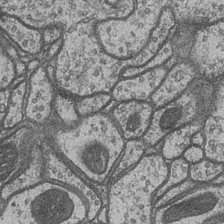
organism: Drosophila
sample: Optic medulla